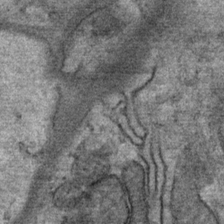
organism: Mouse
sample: Mouse Salivary gland